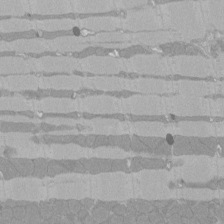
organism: Rat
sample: Left ventricle